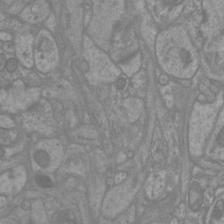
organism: Mouse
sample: Cortical neurons